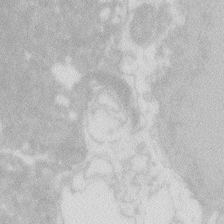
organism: Zebrafish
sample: Macrophage